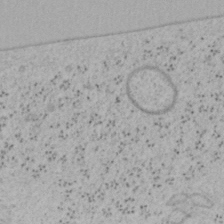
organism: Human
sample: HeLa cells